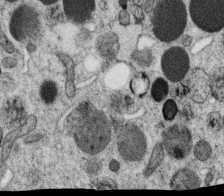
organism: C. elegans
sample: C. elegans oocyte; sperm cells